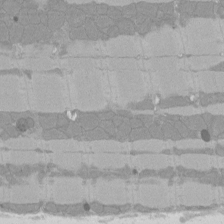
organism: Rat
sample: Left ventricle